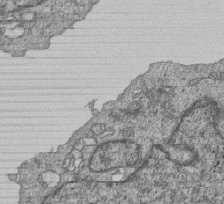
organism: Human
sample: MDA-MB-231 cells